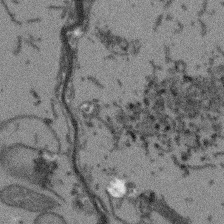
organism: Arabidopsis thaliana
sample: Root tip